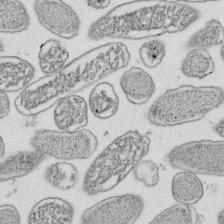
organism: E. coli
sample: Bacterial nucleoid